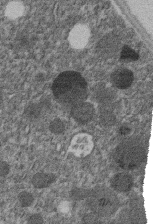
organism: C. elegans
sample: C. elegans embryo early stage